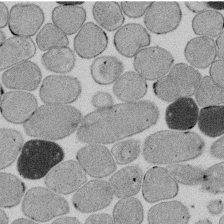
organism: E. coli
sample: Bacterial nucleoid